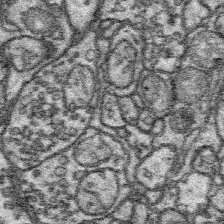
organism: Platynereis dumerilii